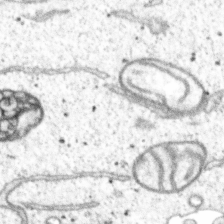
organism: Human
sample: HeLa cells